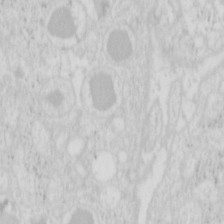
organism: Mouse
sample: Pancreas